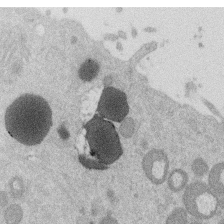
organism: Mouse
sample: Dividing mouse embryo 1 cell stage